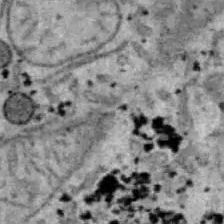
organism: Mouse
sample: Liver from an obese (ob/ob) mouse